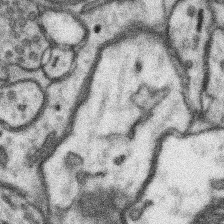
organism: Mouse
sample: Somatosensory cortex neuropil